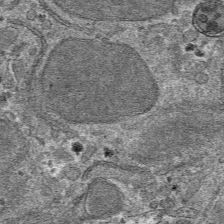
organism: Mouse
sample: Mouse hepatocytes